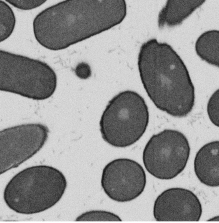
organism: B. subtilis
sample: Bacterial spore